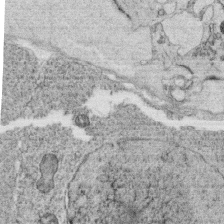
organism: C. elegans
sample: C. elegans oocyte; sperm cells